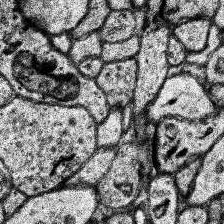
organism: Human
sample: Temporal Lobe